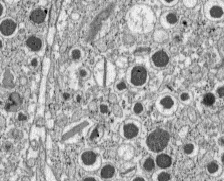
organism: C57BL Mouse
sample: Pancreatic islet